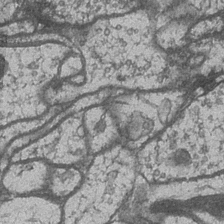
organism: Drosophila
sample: Optic medulla